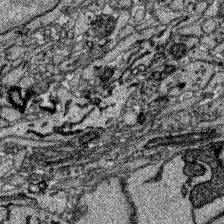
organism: Zebrafish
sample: Larval olfactory bulb